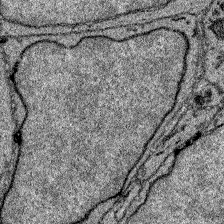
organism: Zebrafish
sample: Larval olfactory bulb